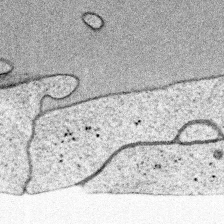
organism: Human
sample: HeLa cells